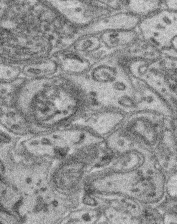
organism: Mouse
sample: Retina